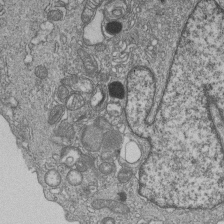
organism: Human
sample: MDA-MB-231 cells